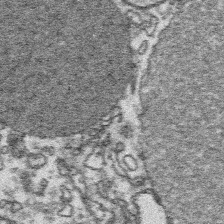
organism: Platynereis dumerilii